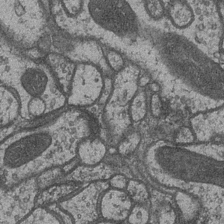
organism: Drosophila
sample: Optic medulla